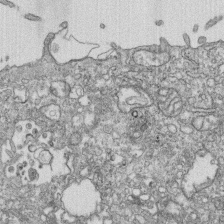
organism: Human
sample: HeLa cell HIV synapse